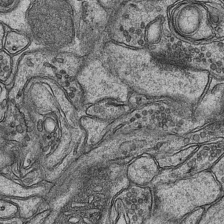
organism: Mouse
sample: CA1 Hippocampus